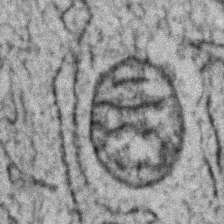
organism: Zebrafish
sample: Zebrafish embryo